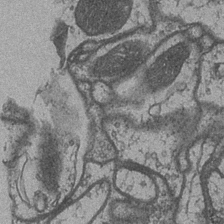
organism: Drosophila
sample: Optic medulla